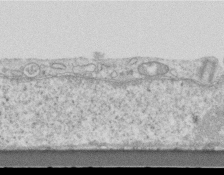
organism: Mouse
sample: Centriole in ependymal cells